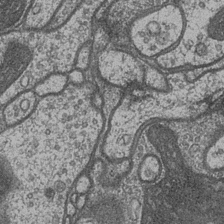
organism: Drosophila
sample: Optic medulla